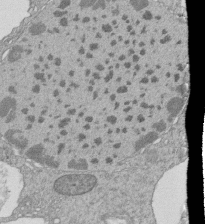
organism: Tetrahymena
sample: Cilia in tetrahymena